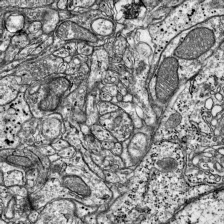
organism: Mouse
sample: Visual Cortex